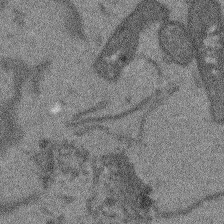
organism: Arabidopsis thaliana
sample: Root tip